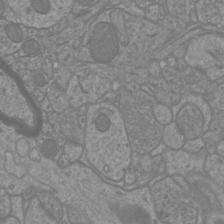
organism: Mouse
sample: Cortical neurons